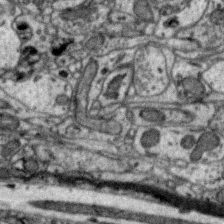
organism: Zebra finch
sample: Brain